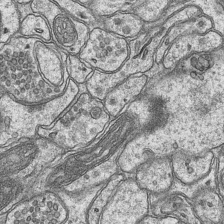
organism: Mouse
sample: CA1 Hippocampus